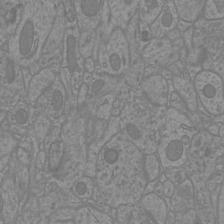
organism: Mouse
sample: Cortical neurons